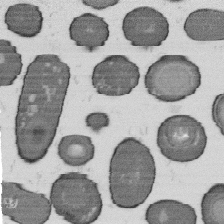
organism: B. subtilis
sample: Bacterial spore